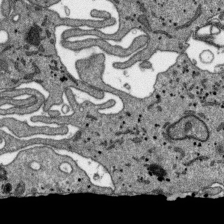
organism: Human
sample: Lung epithelial cells, uninfected (mock) control